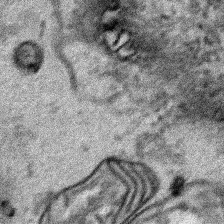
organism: Human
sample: Mitochondria in HCT116 cells